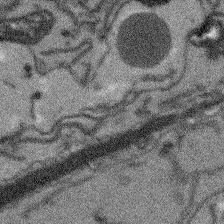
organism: Arabidopsis thaliana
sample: Root tip